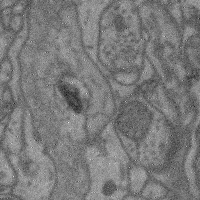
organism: Mouse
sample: Cerebral cortex